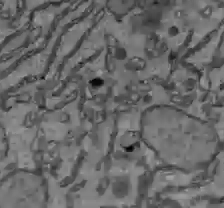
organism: C57BL Mouse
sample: Liver